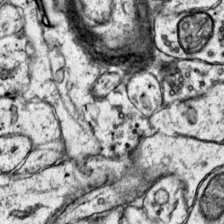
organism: Mouse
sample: Primary visual cortex